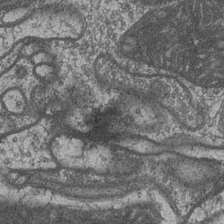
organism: Drosophila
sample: Optic medulla